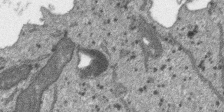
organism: Human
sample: Lung epithelial cells infected with SARS-CoV-2